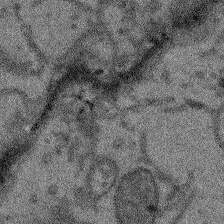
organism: Arabidopsis thaliana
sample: Root tip